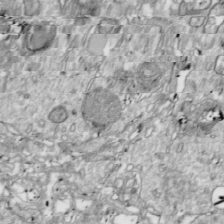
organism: Drosophila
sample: Cell division; meiosis; drosophila spermatocytes